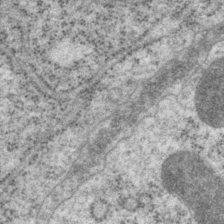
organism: P. pacificus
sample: Pharynx